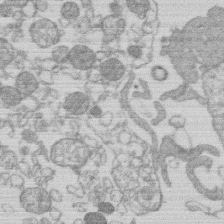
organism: Human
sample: Macrophage cells